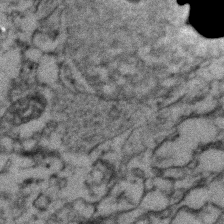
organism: Zebrafish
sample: Zebrafish embryo